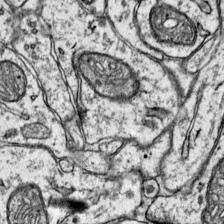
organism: Mouse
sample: Primary visual cortex